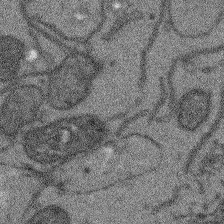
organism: Arabidopsis thaliana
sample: Root tip